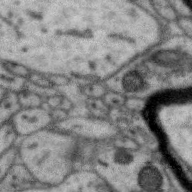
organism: Zebra finch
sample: Brain